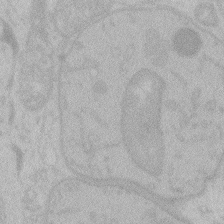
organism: Zebrafish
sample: Macrophage infected with Toxoplasma gondii